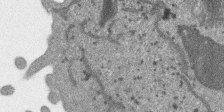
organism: Human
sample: Lung epithelial cells infected with SARS-CoV-2